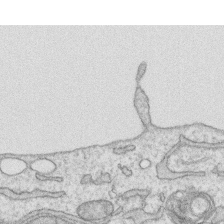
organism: Human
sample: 1205lu cells